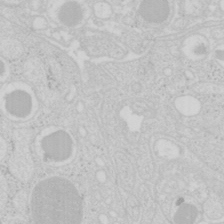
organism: Mouse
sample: Pancreas